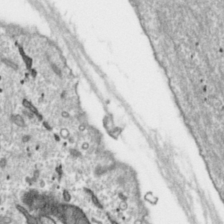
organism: Toxoplasma gondii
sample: Parasites in a vacuole inside a host cell